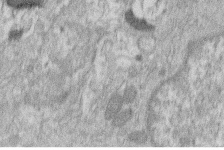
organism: Human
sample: Macrophage cells